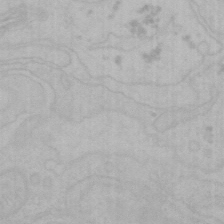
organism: Mouse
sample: Choroid plexus